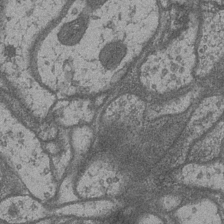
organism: Drosophila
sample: Optic medulla